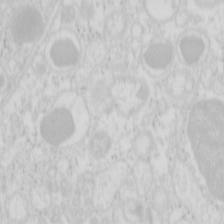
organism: Mouse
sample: Pancreas